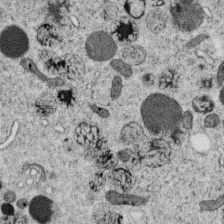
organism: C. elegans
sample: C. elegans oocyte; sperm cells